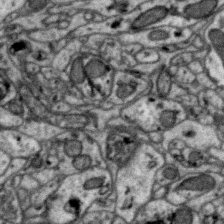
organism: Zebra finch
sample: Brain